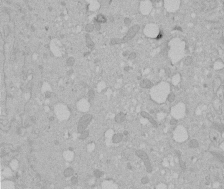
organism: Human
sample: Melanocyte Keratinocyte synapse skin construct